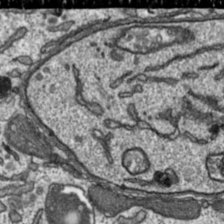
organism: Toxoplasma gondii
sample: Parasites in a vacuole inside a host cell